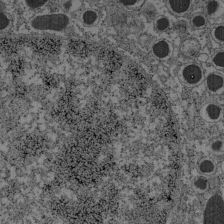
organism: C57BL Mouse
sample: Pancreatic islet